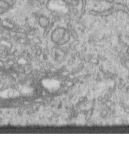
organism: Human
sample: Centriole in RPE cells